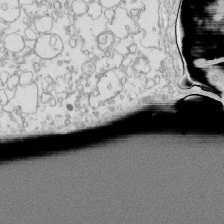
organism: Mouse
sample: Macrophages